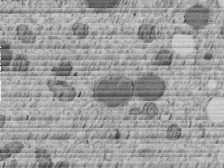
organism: C. elegans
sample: C. elegans embryo early stage